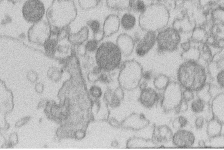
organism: Human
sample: Macrophage cells